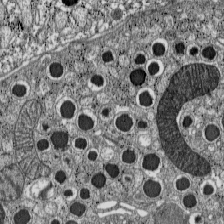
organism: C57BL Mouse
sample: Pancreatic islet